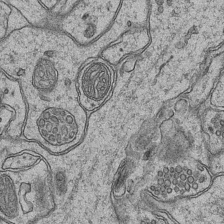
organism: Mouse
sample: CA1 Hippocampus